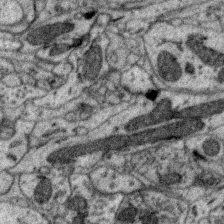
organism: Zebra finch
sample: Brain